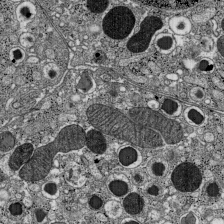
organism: C57BL Mouse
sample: Pancreatic islet